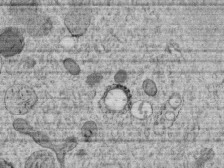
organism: C. elegans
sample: C. elegans embryo early stage